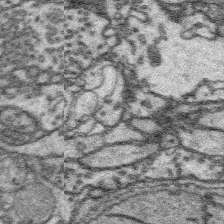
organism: Platynereis dumerilii